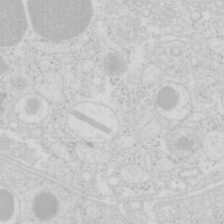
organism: Mouse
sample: Pancreas